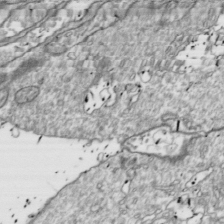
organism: Drosophila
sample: Cell division; meiosis; drosophila spermatocytes